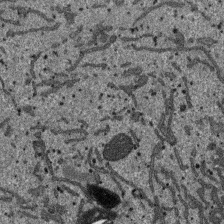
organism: Human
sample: Lung epithelial cells infected with SARS-CoV-2